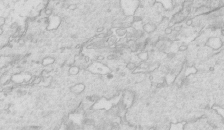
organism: Mouse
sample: Multiciliated cells